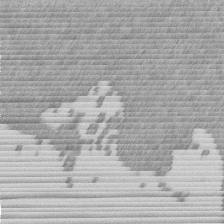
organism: Mouse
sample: Dividing mouse embryo 1 cell stage